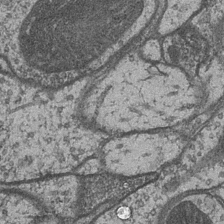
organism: Drosophila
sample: Optic medulla